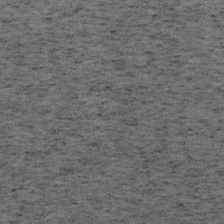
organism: Mouse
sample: OT-I killer T cells with ID8 ovarian cancer cells